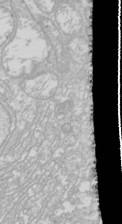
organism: Drosophila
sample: Cell division; meiosis; drosophila spermatocytes